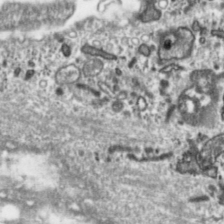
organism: Toxoplasma gondii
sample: Parasites in a vacuole inside a host cell